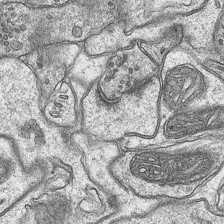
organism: Mouse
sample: CA1 Hippocampus